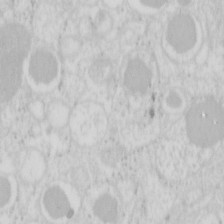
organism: Mouse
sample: Pancreas